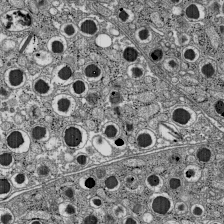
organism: C57BL Mouse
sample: Pancreatic islet